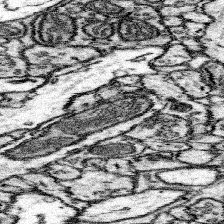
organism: Mouse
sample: Somatosensory cortex neuropil